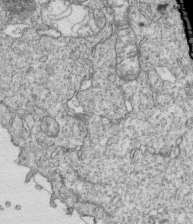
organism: Human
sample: HeLa cell HIV synapse